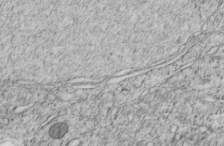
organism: C. elegans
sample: C. elegans embryo early stage